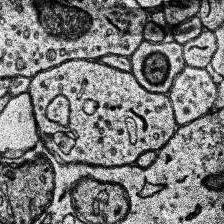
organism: Human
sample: Temporal Lobe